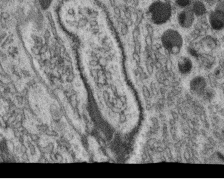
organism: C. elegans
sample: C. elegans oocyte; sperm cells